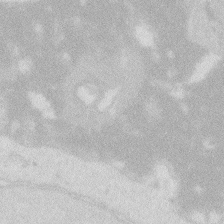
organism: Zebrafish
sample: Macrophage